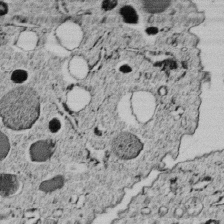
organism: C. elegans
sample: C. elegans embryo early stage